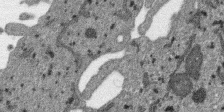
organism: Human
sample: Lung epithelial cells infected with SARS-CoV-2